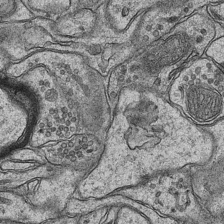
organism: Mouse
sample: CA1 Hippocampus